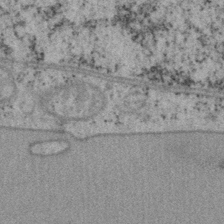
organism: Human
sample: HeLa cells